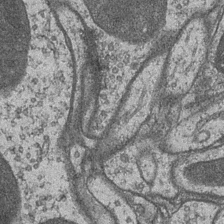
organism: Drosophila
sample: Optic medulla